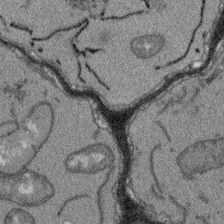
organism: Arabidopsis thaliana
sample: Root tip